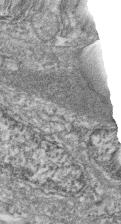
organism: Zebrafish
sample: Cilia; retinal pigment epithelium